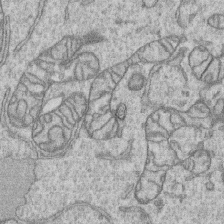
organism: Human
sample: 1205lu cells